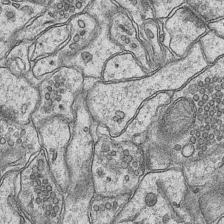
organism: Mouse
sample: CA1 Hippocampus